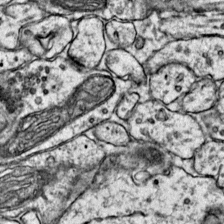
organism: Mouse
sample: Primary visual cortex